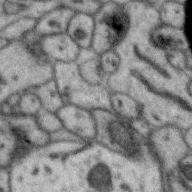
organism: Zebra finch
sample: Brain